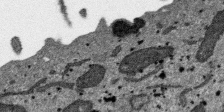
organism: Human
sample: Lung epithelial cells, uninfected (mock) control